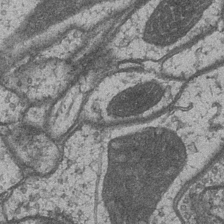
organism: Drosophila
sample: Optic medulla